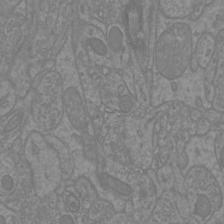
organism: Mouse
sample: Cortical neurons